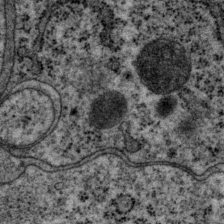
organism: P. pacificus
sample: Pharynx